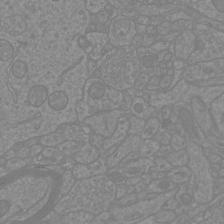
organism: Mouse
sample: Cortical neurons